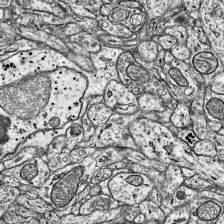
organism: Mouse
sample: Visual Cortex